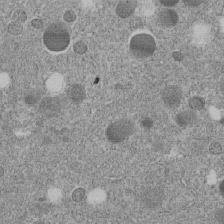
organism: C. elegans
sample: C. elegans embryo early stage